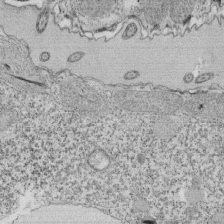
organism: Tetrahymena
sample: Cilia in tetrahymena